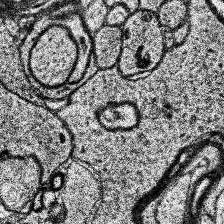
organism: Human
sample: Temporal Lobe